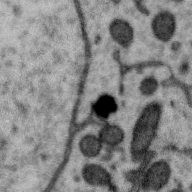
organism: Zebra finch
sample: Brain